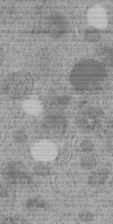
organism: C. elegans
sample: C. elegans embryo early stage